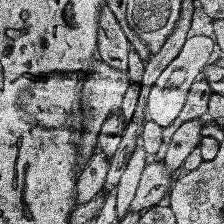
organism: Human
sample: Temporal Lobe